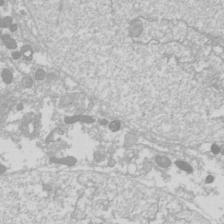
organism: Drosophila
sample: Cell division; meiosis; drosophila spermatocytes